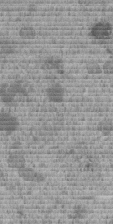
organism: C. elegans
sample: C. elegans embryo early stage